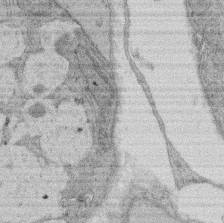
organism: Rat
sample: Salivary granule